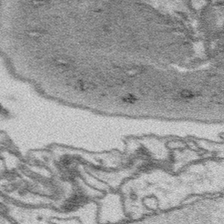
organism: Platynereis dumerilii